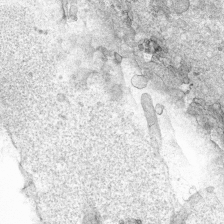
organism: Human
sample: Mitochondria in HCT116 cells